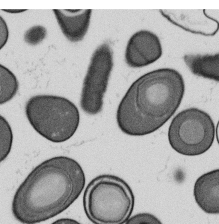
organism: B. subtilis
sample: Bacterial spore